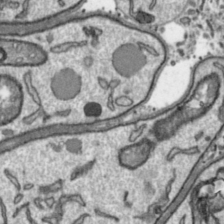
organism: Toxoplasma gondii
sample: Parasites in a vacuole inside a host cell